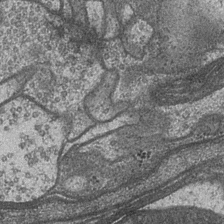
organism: Drosophila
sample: Optic medulla